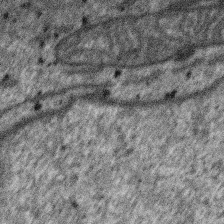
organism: Human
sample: Lung epithelial cells infected with SARS-CoV-2